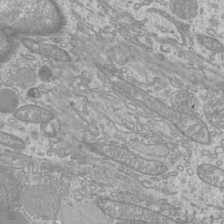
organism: Mouse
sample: Cilia; mouse epididymis